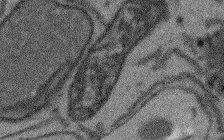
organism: Arabidopsis thaliana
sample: Root tip